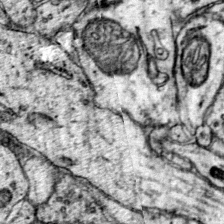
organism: Mouse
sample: Primary visual cortex